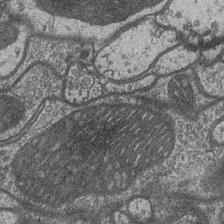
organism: Drosophila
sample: Optic medulla